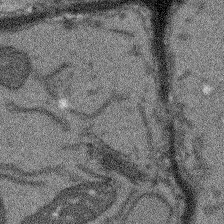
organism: Arabidopsis thaliana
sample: Root tip